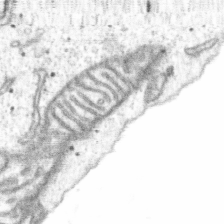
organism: Human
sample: HeLa cells